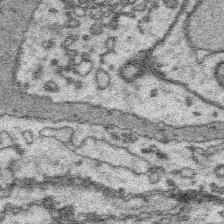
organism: Platynereis dumerilii